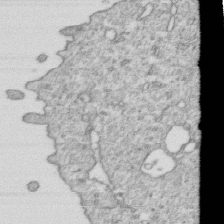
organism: Mouse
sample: Activated OT-1 CD8+ T cells